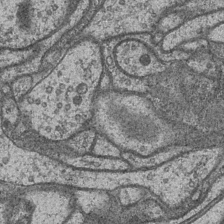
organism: Drosophila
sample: Optic medulla